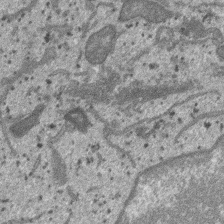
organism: Human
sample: Lung epithelial cells infected with SARS-CoV-2